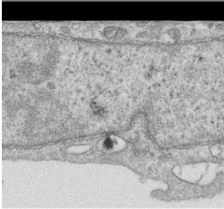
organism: Human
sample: Centriole in RPE cells